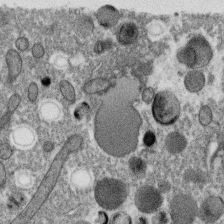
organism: C. elegans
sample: C. elegans oocyte; sperm cells